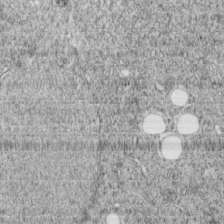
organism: C. elegans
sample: C. elegans embryo early stage